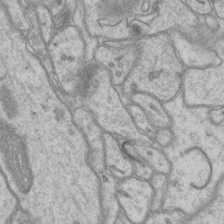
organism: Mouse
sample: CA1 Hippocampus